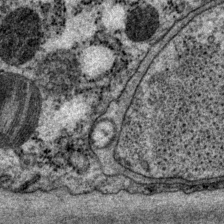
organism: P. pacificus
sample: Pharynx